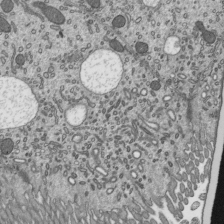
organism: Mouse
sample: Mouse epididymis efferent ductule cilia